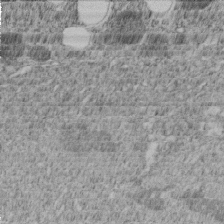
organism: C. elegans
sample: C. elegans embryo early stage